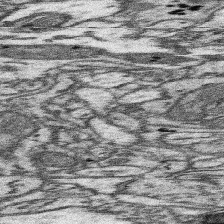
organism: Mouse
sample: Somatosensory cortex neuropil